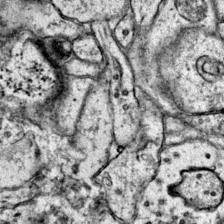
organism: Mouse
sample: Primary visual cortex